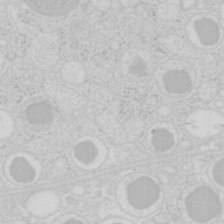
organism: Mouse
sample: Pancreas